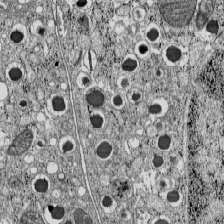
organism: C57BL Mouse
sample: Pancreatic islet